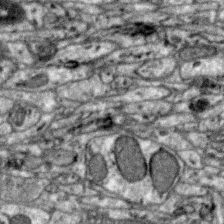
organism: Zebra finch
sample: Brain